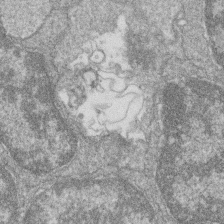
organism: Zebrafish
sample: Cilia; retinal pigment epithelium